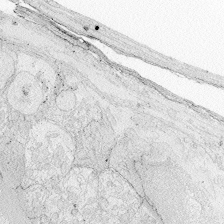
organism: Zebrafish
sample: Whole-Brain